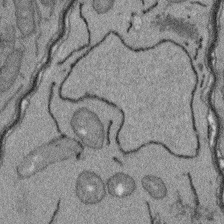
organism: Arabidopsis thaliana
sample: Root tip